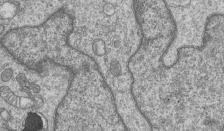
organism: Human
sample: MDA-MB-231 cells